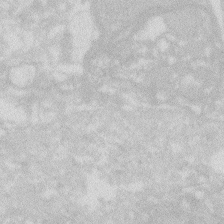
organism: Zebrafish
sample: Macrophage